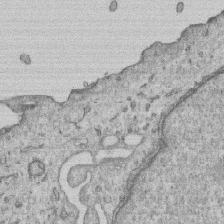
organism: Human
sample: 1205lu cells